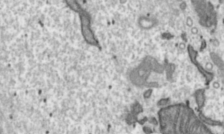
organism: Toxoplasma gondii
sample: Parasites in a vacuole inside a host cell